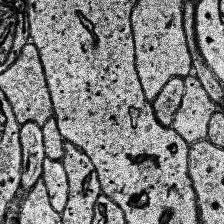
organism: Human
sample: Temporal Lobe